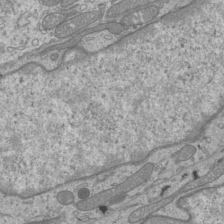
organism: Mouse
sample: Cilia; mouse epididymis